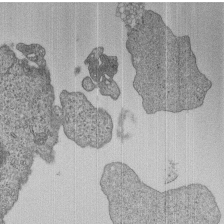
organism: Human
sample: MDA-MB-231 cells